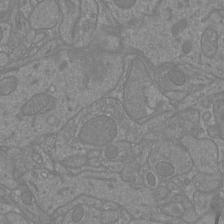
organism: Mouse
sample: Cortical neurons